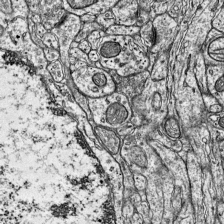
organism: Mouse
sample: Visual Cortex